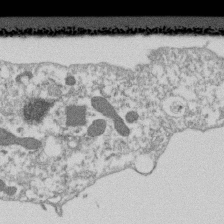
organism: Dictyostelium discoideum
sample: Dictyostelium multivesicular bodies